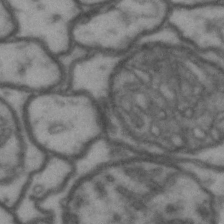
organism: Drosophila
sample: Brain